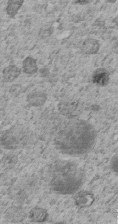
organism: C. elegans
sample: C. elegans embryo early stage